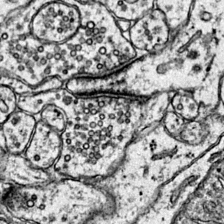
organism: Mouse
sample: Primary visual cortex